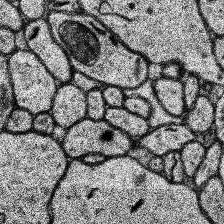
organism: Human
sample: Temporal Lobe